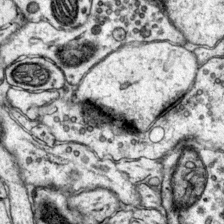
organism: Mouse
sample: Primary visual cortex